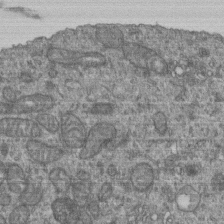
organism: Human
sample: Retinal organoid Rod and Cone cells